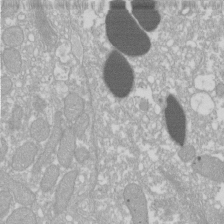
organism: Xenopus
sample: Cilia; centrioles in frog embryo cells